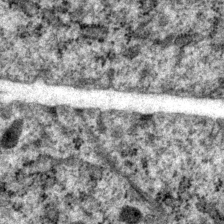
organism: P. pacificus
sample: Pharynx